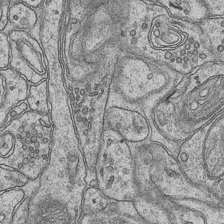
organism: Mouse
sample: CA1 Hippocampus